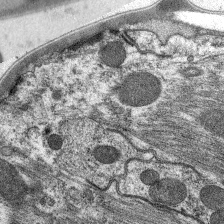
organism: C. elegans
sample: Pharynx